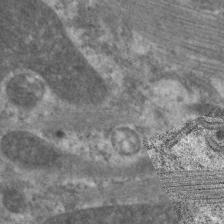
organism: C. elegans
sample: Pharynx